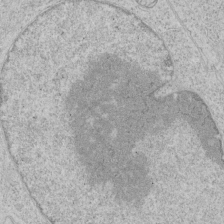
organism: Human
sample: Mitochondria in HCT116 cells